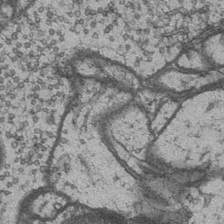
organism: Drosophila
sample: Optic medulla